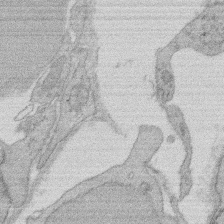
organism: Rat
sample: Salivary granule